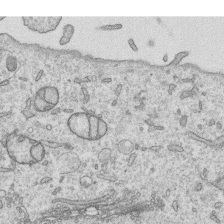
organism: Human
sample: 1205lu cells